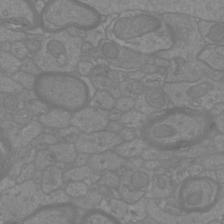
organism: Mouse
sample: Cortical neurons